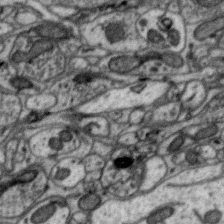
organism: Zebra finch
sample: Brain